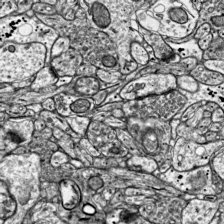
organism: Mouse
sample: Visual Cortex